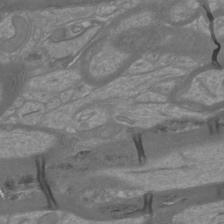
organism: Mouse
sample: Cortical neurons